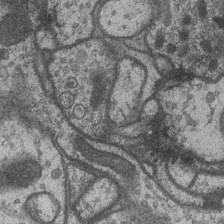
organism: Drosophila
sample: Optic medulla